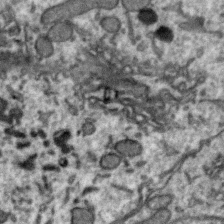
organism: Zebra finch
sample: Brain